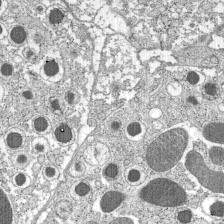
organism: C57BL Mouse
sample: Pancreatic islet